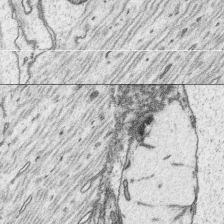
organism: Platynereis dumerilii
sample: Parapodia